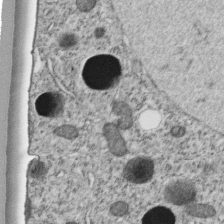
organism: C. elegans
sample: C. elegans embryo early stage